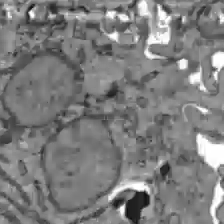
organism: C57BL Mouse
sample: Liver